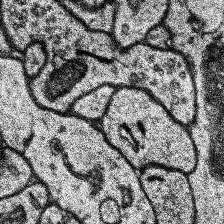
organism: Human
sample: Temporal Lobe